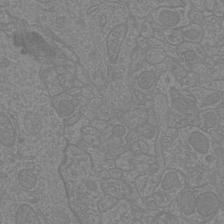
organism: Mouse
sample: Cortical neurons